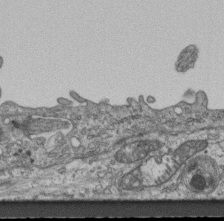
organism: Mouse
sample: Centriole in ependymal cells